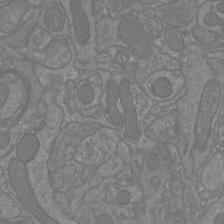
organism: Mouse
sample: Cortical neurons